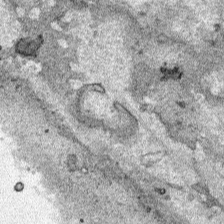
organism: Human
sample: Mitochondria in HCT116 cells